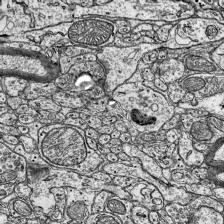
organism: Mouse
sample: Visual Cortex